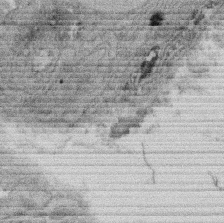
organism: Rat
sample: Salivary granule